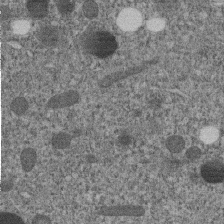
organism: C. elegans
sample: C. elegans embryo early stage